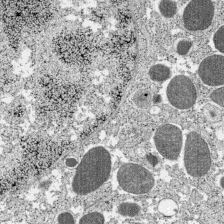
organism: C57BL Mouse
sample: Pancreatic islet